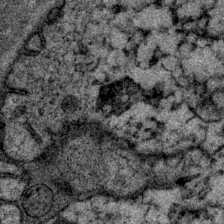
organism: P. pacificus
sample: Pharynx